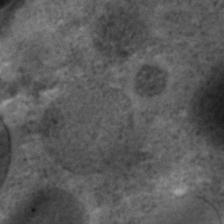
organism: C. elegans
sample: C. elegans embryo